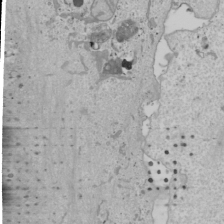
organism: Human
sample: Mitochondria in U2OS cells